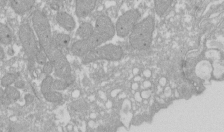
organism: Xenopus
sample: Cilia; centrioles in frog embryo cells